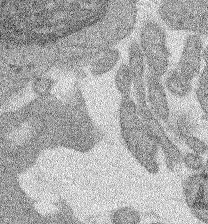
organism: Human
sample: HeLa cells